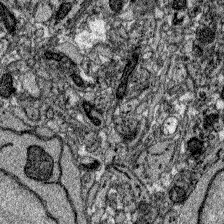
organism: Zebrafish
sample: Larval olfactory bulb